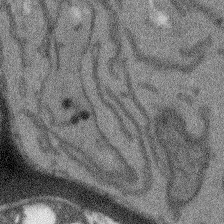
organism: Arabidopsis thaliana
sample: Root tip